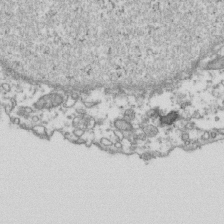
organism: Human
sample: Activated Jurkat CD4+ T cells